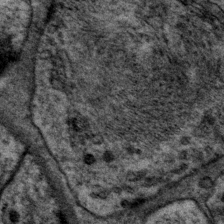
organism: P. pacificus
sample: Pharynx